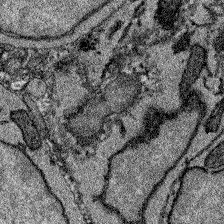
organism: Zebrafish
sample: Larval olfactory bulb